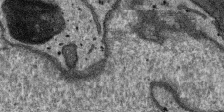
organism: Human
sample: Lung epithelial cells, uninfected (mock) control